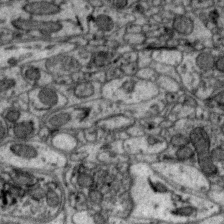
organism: Zebra finch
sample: Brain